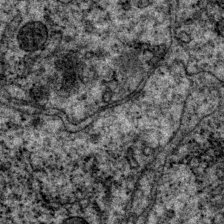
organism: P. pacificus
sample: Pharynx